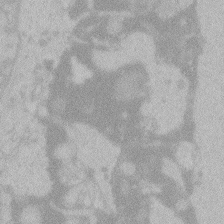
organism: Zebrafish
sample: Macrophage infected with Toxoplasma gondii